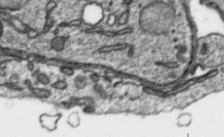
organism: Toxoplasma gondii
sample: Parasites in a vacuole inside a host cell